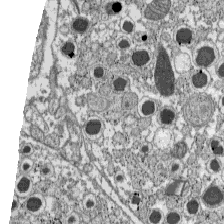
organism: C57BL Mouse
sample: Pancreatic islet